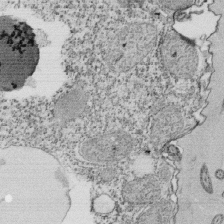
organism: Tetrahymena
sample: Cilia in tetrahymena